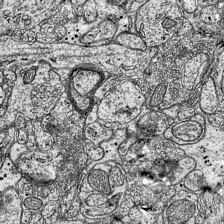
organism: Mouse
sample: Visual Cortex